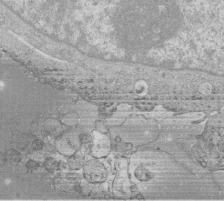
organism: Human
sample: Macrophage cells